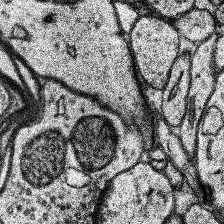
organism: Human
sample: Temporal Lobe